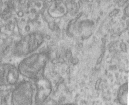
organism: Human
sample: Centriole in RPE cells